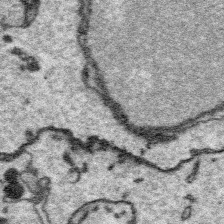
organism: Platynereis dumerilii